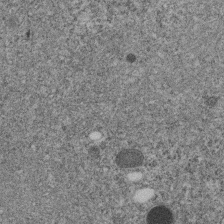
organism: C. elegans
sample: C. elegans embryo early stage